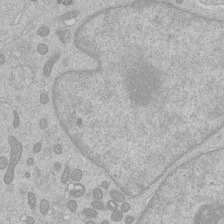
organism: Human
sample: Macrophage cells